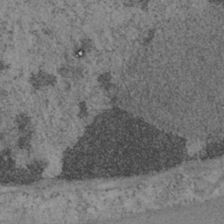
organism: Mouse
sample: OT-I killer T cells with ID8 ovarian cancer cells